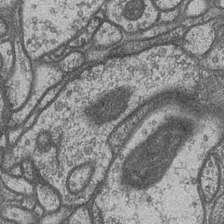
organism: Drosophila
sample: Optic medulla